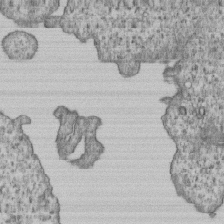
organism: Human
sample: MDA-MB-231 cells